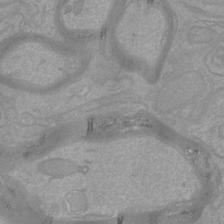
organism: Mouse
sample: Cortical neurons